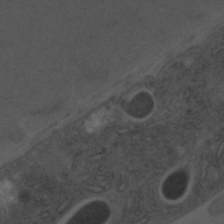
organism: C. elegans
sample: C. elegans embryo